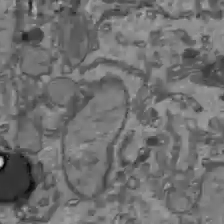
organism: C57BL Mouse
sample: Liver